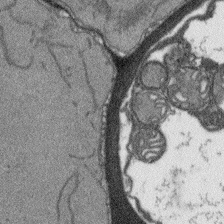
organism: Arabidopsis thaliana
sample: Root tip